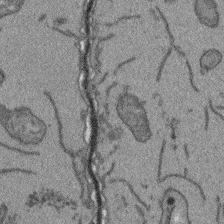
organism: Arabidopsis thaliana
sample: Root tip